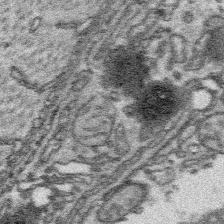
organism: Platynereis dumerilii